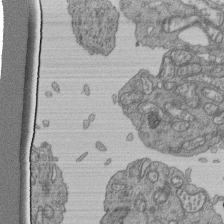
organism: Human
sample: Retinal organoid Rod and Cone cells